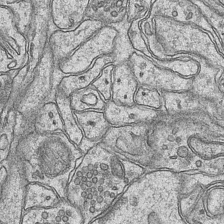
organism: Mouse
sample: CA1 Hippocampus